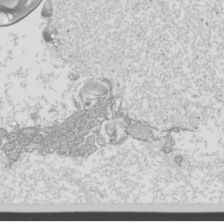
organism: Mouse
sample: Cilia; mouse epididymis